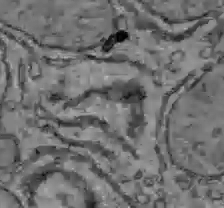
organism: C57BL Mouse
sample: Liver